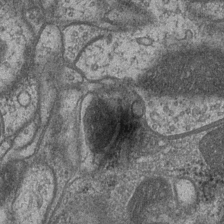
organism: Drosophila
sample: Optic medulla